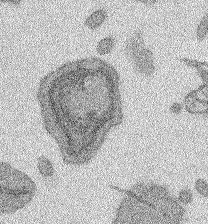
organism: Human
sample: HeLa cells